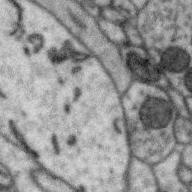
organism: Zebra finch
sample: Brain